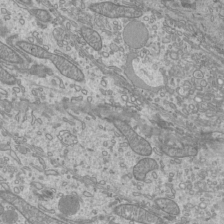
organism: Mouse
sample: Cilia; mouse epididymis